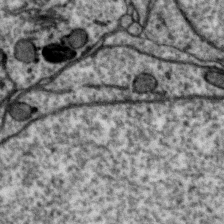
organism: Zebra finch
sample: Brain